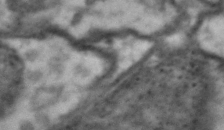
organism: Drosophila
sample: Brain